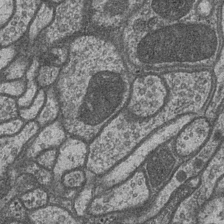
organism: Drosophila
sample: Optic medulla